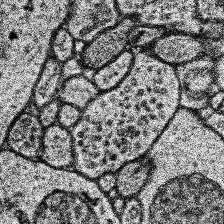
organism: Human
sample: Temporal Lobe